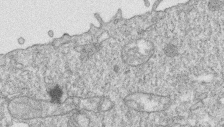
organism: Human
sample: HeLa cell HIV synapse